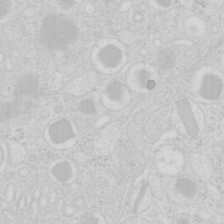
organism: Mouse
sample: Pancreas